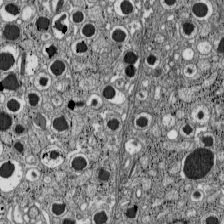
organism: C57BL Mouse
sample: Pancreatic islet